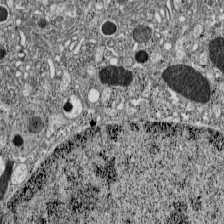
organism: C57BL Mouse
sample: Pancreatic islet